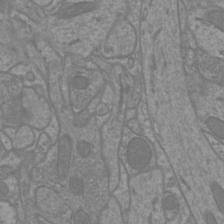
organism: Mouse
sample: Cortical neurons